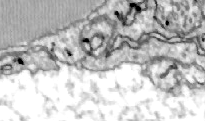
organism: Zebrafish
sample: Actinotrichia fibers